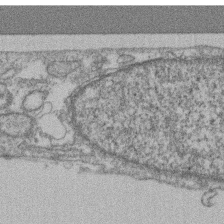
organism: Mouse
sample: T cell stromal cell synapse